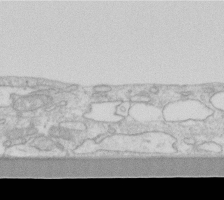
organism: Human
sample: Fibroblast cells